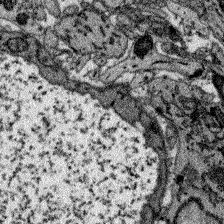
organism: Zebrafish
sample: Larval olfactory bulb